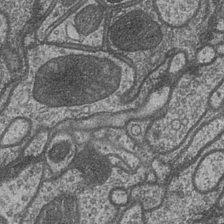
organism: Drosophila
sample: Optic medulla